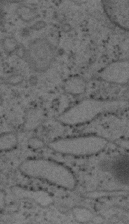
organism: Human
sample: HeLa cells